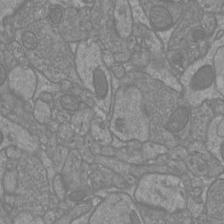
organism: Mouse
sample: Cortical neurons